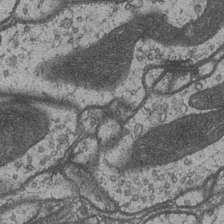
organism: Drosophila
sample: Optic medulla